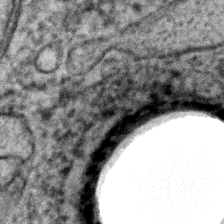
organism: C. elegans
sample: C. elegans embryo